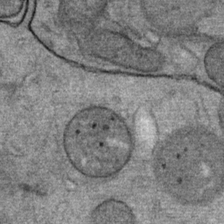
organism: Mouse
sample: Mouse Salivary gland